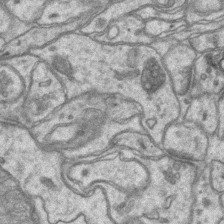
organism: Mouse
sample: CA1 Hippocampus